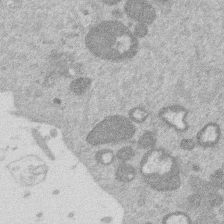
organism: Mouse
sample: Dividing mouse embryo 1 cell stage